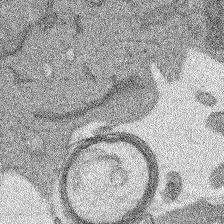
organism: Human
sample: HeLa cells